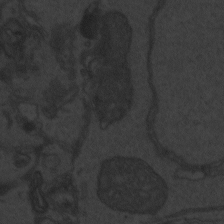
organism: Zebrafish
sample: Macrophage infected with Toxoplasma gondii